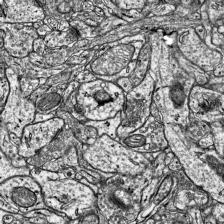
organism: Mouse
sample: Visual Cortex